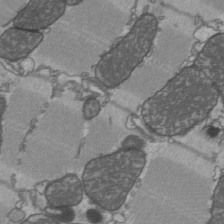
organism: C57BL Mouse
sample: Heart